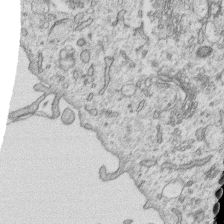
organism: Human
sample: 1205lu cells